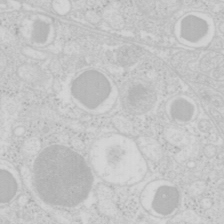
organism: Mouse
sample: Pancreas